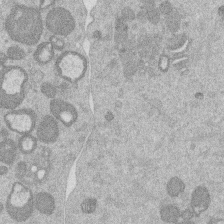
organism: Mouse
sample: Dividing mouse embryo 1 cell stage